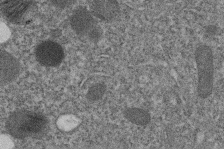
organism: C. elegans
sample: C. elegans embryo early stage